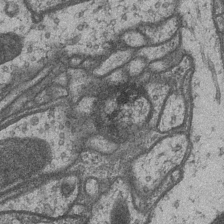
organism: Drosophila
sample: Optic medulla